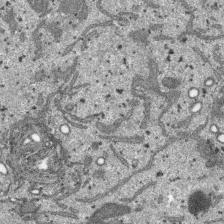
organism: Human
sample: Lung epithelial cells infected with SARS-CoV-2